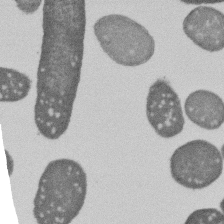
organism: E. coli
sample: Bacterial nucleoid